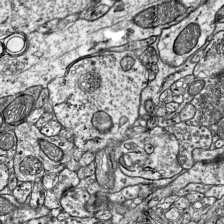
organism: Mouse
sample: Visual Cortex